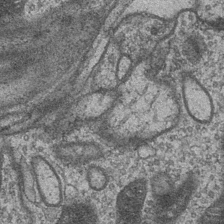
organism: Drosophila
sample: Optic medulla